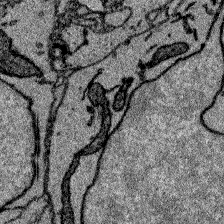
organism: Zebrafish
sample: Larval olfactory bulb